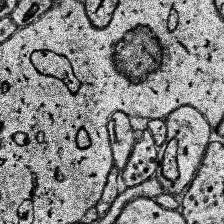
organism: Human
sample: Temporal Lobe